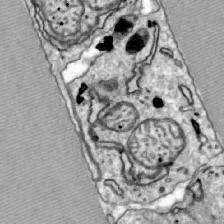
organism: Zebrafish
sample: Actinotrichia fibers